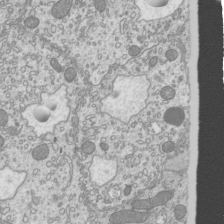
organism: Mouse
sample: Cilia; mouse epididymis